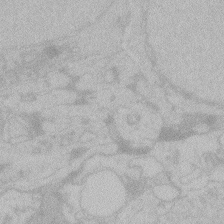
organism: Zebrafish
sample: Macrophage infected with Toxoplasma gondii